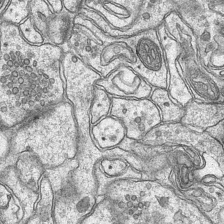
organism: Mouse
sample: CA1 Hippocampus